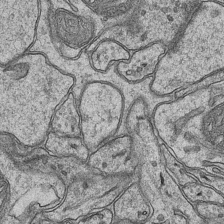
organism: Mouse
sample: CA1 Hippocampus